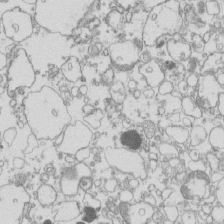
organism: Mouse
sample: Macrophages